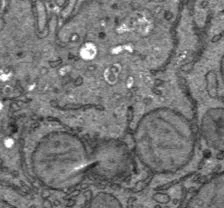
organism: C57BL Mouse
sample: Liver